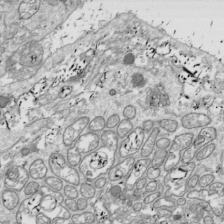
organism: Drosophila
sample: Cell division; meiosis; drosophila spermatocytes